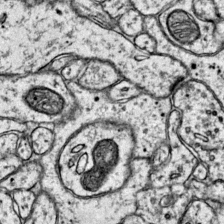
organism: Mouse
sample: Primary visual cortex